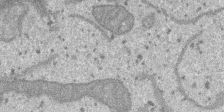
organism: Human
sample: Lung epithelial cells infected with SARS-CoV-2